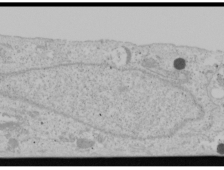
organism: Human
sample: Mitochondria in U2OS cells